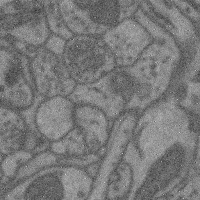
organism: Mouse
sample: Cerebral cortex